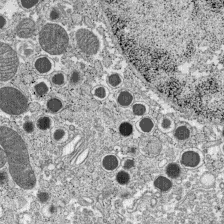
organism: C57BL Mouse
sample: Pancreatic islet